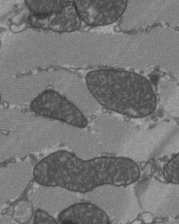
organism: C57BL Mouse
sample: Heart